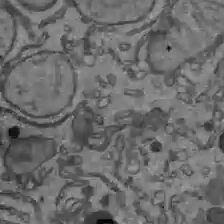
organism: C57BL Mouse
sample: Liver